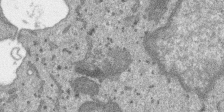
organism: Human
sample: Lung epithelial cells infected with SARS-CoV-2